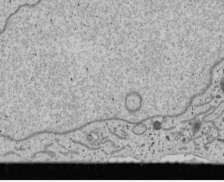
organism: Human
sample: Mitochondria in U2OS cells